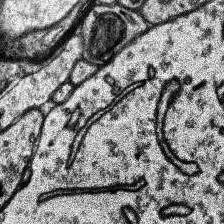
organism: Human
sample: Temporal Lobe